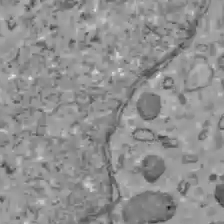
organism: C57BL Mouse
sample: Liver